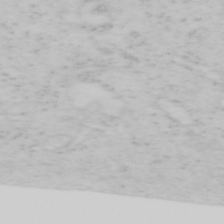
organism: Mouse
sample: OT-I killer T cells with ID8 ovarian cancer cells